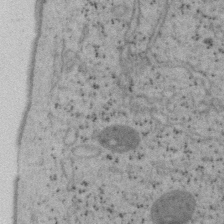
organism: Human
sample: HeLa cells